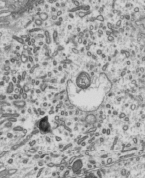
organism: Mouse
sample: Mouse epididymis efferent ductule cilia